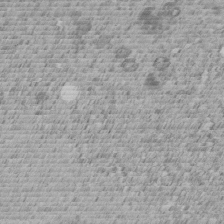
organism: C. elegans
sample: C. elegans embryo early stage